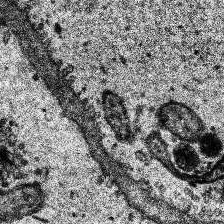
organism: Human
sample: Temporal Lobe